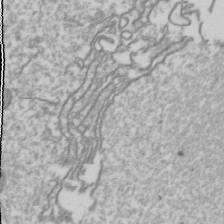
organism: Drosophila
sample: Cell division; meiosis; drosophila spermatocytes